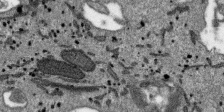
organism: Human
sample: Lung epithelial cells, uninfected (mock) control